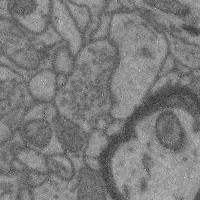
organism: Mouse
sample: Cerebral cortex